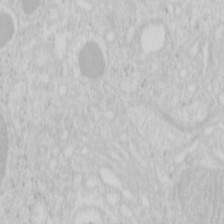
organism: Mouse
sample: Pancreas